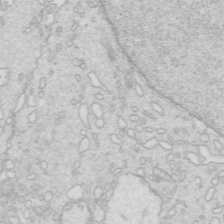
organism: Mouse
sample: Multiciliated cells